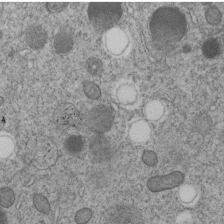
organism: C. elegans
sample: C. elegans embryo early stage